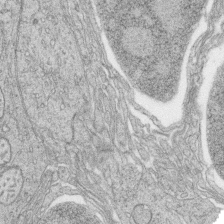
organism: Zebrafish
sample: synaptic ribbons in rod cells and cone cells